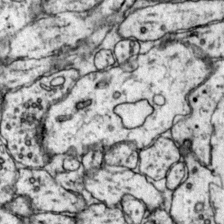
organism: Mouse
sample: Primary visual cortex